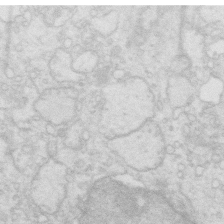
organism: Mouse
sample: Multiciliated cells